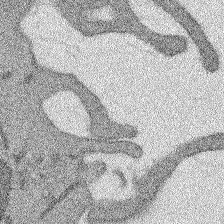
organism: Human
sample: HeLa cells